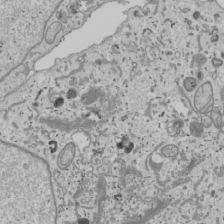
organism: Human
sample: Mitochondria in U2OS cells